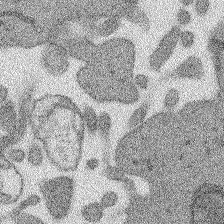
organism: Human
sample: HeLa cells